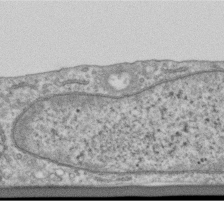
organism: Human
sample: Centriole in RPE cells